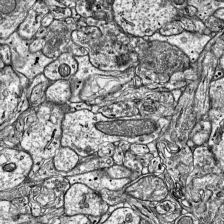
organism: Mouse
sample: Visual Cortex